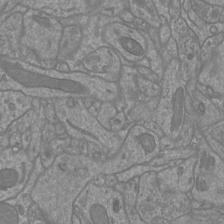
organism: Mouse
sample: Cortical neurons